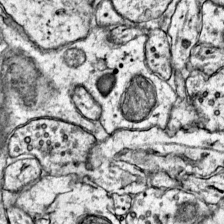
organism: Mouse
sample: Primary visual cortex